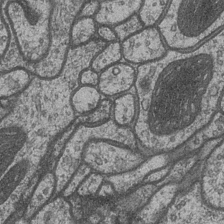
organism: Drosophila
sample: Optic medulla